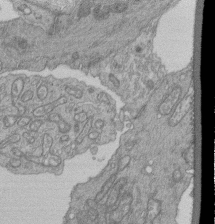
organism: Human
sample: Retinal organoid Rod and Cone cells